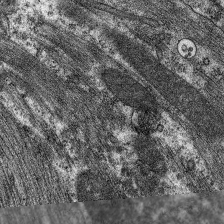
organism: C. elegans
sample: Pharynx